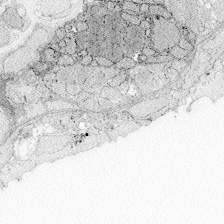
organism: Zebrafish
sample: Whole-Brain